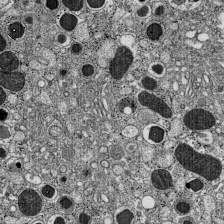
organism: C57BL Mouse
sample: Pancreatic islet